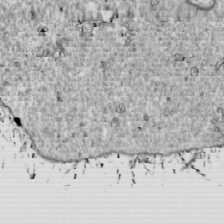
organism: Drosophila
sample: Cell division; meiosis; drosophila spermatocytes